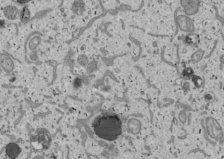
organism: Human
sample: Mitochondria in U2OS cells